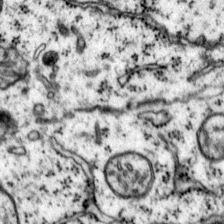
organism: Mouse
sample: Primary visual cortex